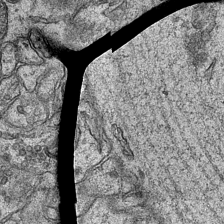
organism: Mouse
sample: CA1 Hippocampus